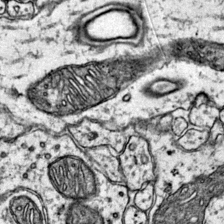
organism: Mouse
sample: Primary visual cortex